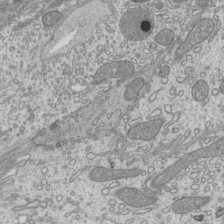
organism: Mouse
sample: Cilia; mouse epididymis